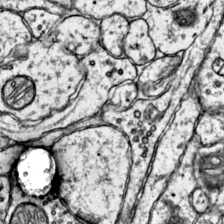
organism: Mouse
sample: Primary visual cortex